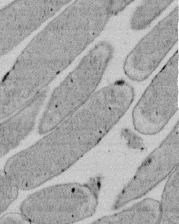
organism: E. coli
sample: Bacterial nucleoid